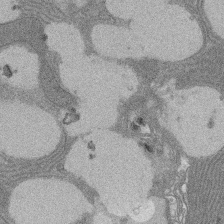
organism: Rat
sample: Salivary granule